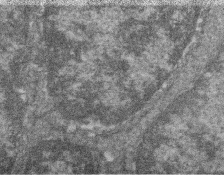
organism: Zebrafish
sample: Cilia; retinal pigment epithelium